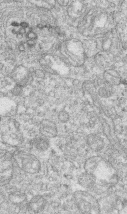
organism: Human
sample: HeLa cell HIV synapse